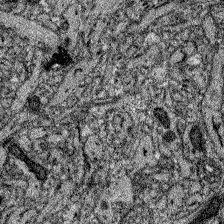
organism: Zebrafish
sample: Larval olfactory bulb